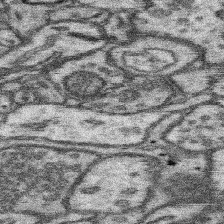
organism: Mouse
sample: Somatosensory cortex neuropil